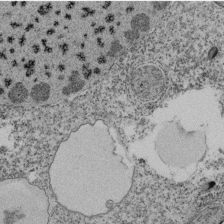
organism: Tetrahymena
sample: Cilia in tetrahymena